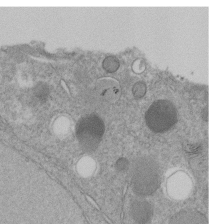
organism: C. elegans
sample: C. elegans embryo early stage